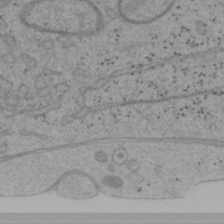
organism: Human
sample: HeLa cells